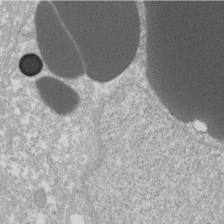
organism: Xenopus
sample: Cilia; centrioles in frog embryo cells